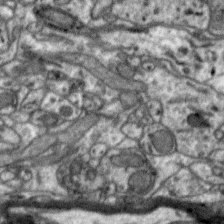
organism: Zebra finch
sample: Brain